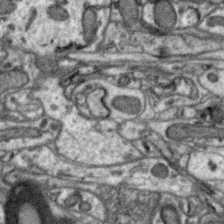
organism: Zebra finch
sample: Brain